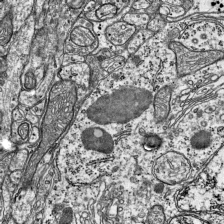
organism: Mouse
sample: Visual Cortex